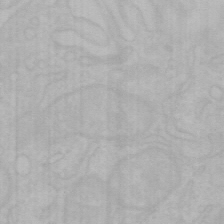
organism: Mouse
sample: Choroid plexus